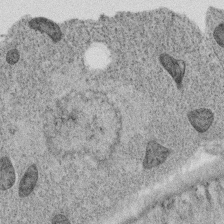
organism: C. elegans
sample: C. elegans oocyte; sperm cells